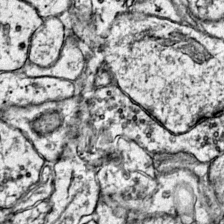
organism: Mouse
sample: Primary visual cortex